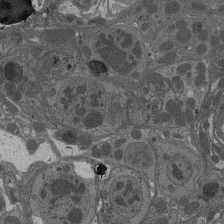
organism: Drosophila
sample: Antenna